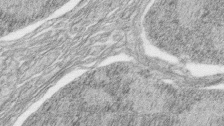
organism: Zebrafish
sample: synaptic ribbons in rod cells and cone cells